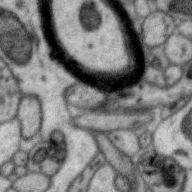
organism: Zebra finch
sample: Brain